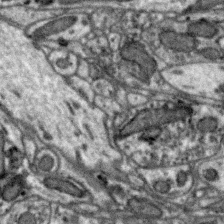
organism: Zebra finch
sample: Brain